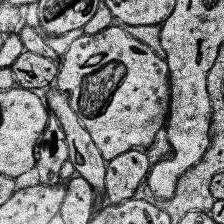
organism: Human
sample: Temporal Lobe